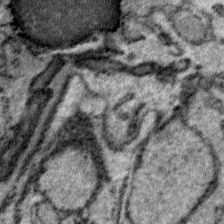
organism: Plasmodium falciparum